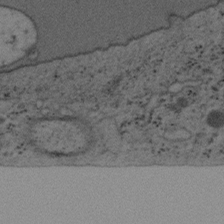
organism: Human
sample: HeLa cells